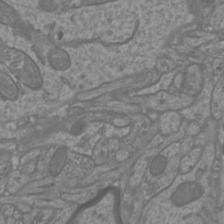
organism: Mouse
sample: Cortical neurons